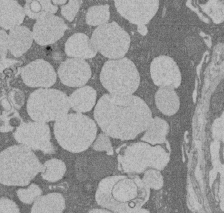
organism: Rat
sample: Salivary granule